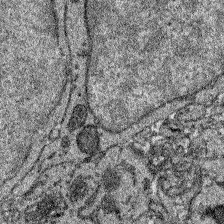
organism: Zebrafish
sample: Larval olfactory bulb